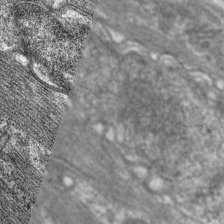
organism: C. elegans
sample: Pharynx